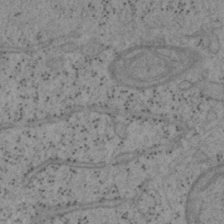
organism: Human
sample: HeLa cells